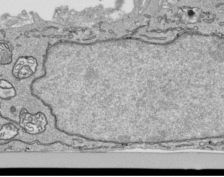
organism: Human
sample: Mitochondria in HCT116 cells